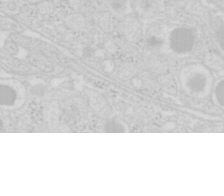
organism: Mouse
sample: Pancreas